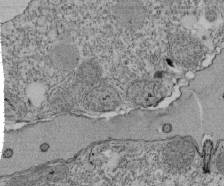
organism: Tetrahymena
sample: Cilia in tetrahymena